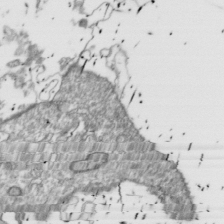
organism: Drosophila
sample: Cell division; meiosis; drosophila spermatocytes